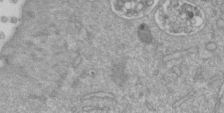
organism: Mouse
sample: ED-1 cell nuclei; centrioles